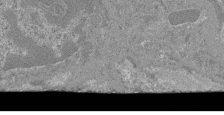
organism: Mouse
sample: Glomerulus